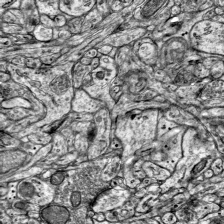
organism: Mouse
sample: Visual Cortex